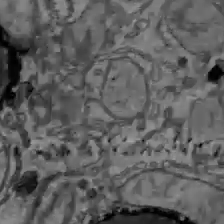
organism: C57BL Mouse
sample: Liver